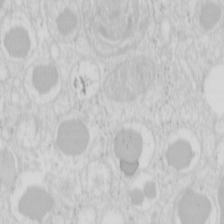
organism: Mouse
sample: Pancreas